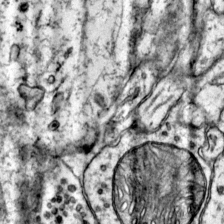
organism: Mouse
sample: Primary visual cortex